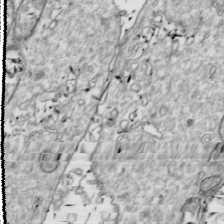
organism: Drosophila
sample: Cell division; meiosis; drosophila spermatocytes